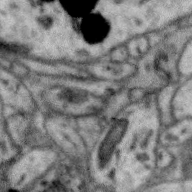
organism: Zebra finch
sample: Brain